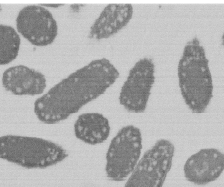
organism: E. coli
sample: Bacterial nucleoid